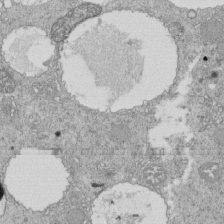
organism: Tetrahymena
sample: Cilia in tetrahymena